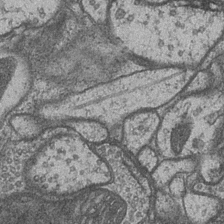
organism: Drosophila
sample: Optic medulla